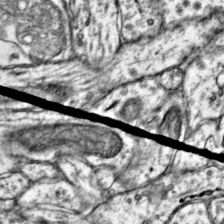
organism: Mouse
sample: Primary visual cortex